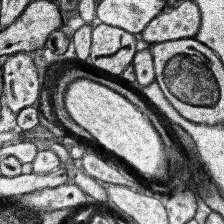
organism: Human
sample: Temporal Lobe